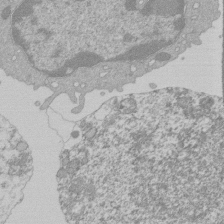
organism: Mouse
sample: Activated Pmel transgenic CD8+ T Cells